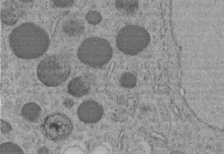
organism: C. elegans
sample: C. elegans embryo early stage